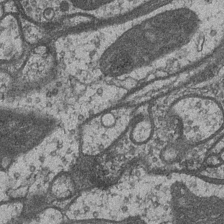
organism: Drosophila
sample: Optic medulla